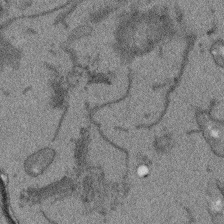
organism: Arabidopsis thaliana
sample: Root tip